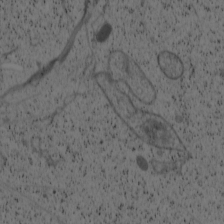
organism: African green monkey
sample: COS-7 cells